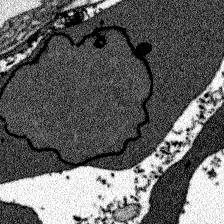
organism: Zebrafish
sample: Larval olfactory bulb